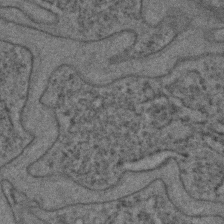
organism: C. elegans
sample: C. elegans embryo